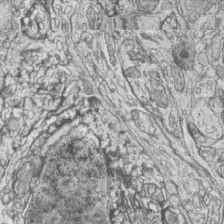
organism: Zebrafish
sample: synaptic ribbons in rod cells and cone cells